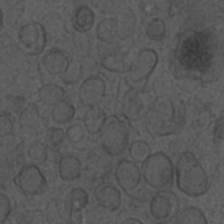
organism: C. elegans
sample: C. elegans embryo